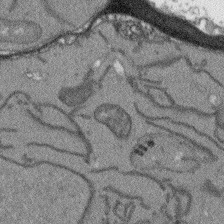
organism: Arabidopsis thaliana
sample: Root tip